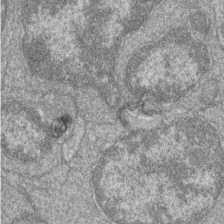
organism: Zebrafish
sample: Cilia; retinal pigment epithelium